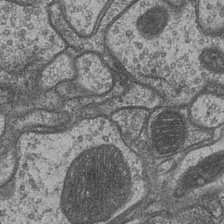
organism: Drosophila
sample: Optic medulla